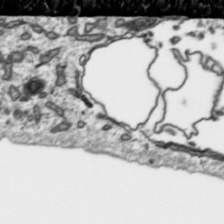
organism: Toxoplasma gondii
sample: Parasites in a vacuole inside a host cell